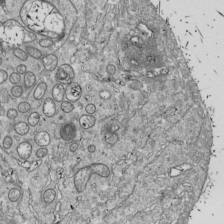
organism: Drosophila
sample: Cell division; meiosis; drosophila spermatocytes